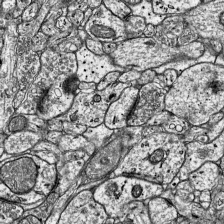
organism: Mouse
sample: Visual Cortex